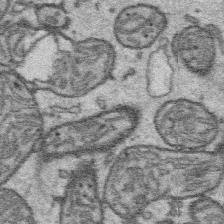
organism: Platynereis dumerilii